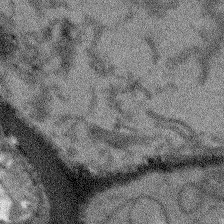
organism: Arabidopsis thaliana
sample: Root tip